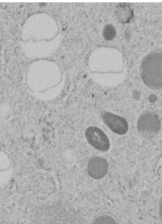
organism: C. elegans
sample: C. elegans embryo early stage